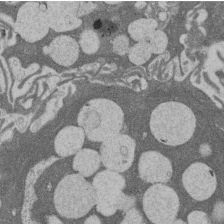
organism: Rat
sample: Salivary granule